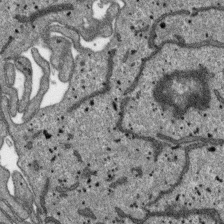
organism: Human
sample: Lung epithelial cells, uninfected (mock) control